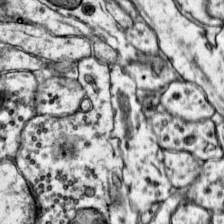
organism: Mouse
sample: Primary visual cortex